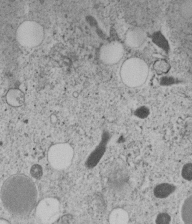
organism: C. elegans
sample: C. elegans embryo early stage